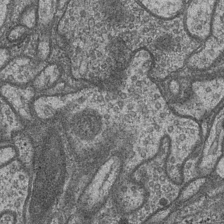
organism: Drosophila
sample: Optic medulla